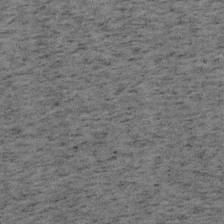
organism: Mouse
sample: OT-I killer T cells with ID8 ovarian cancer cells